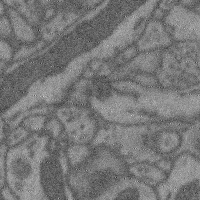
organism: Mouse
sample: Cerebral cortex